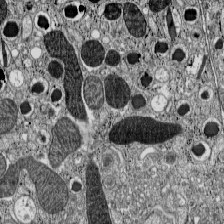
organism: C57BL Mouse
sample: Pancreatic islet